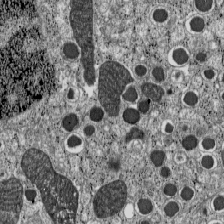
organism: C57BL Mouse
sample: Pancreatic islet